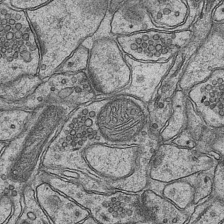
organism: Mouse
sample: CA1 Hippocampus